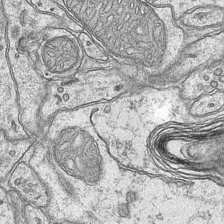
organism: Mouse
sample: CA1 Hippocampus